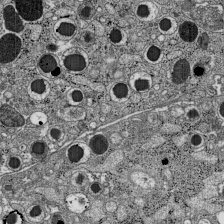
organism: C57BL Mouse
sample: Pancreatic islet